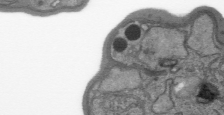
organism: Plasmodium falciparum